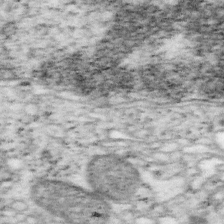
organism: Mouse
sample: OT-I killer T cells with ID8 ovarian cancer cells